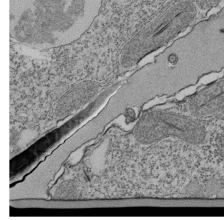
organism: Tetrahymena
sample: Cilia in tetrahymena